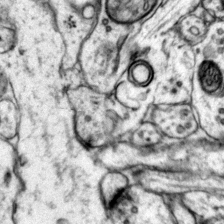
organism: Mouse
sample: Primary visual cortex